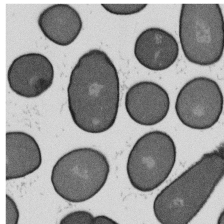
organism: B. subtilis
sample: Bacterial spore